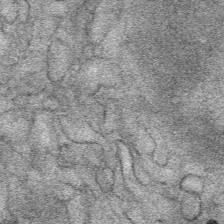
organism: Mouse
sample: Mouse Salivary gland